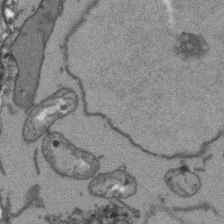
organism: Arabidopsis thaliana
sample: Root tip